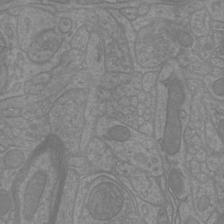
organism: Mouse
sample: Cortical neurons